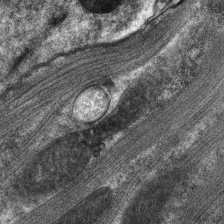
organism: C. elegans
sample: Pharynx